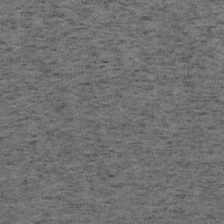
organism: Mouse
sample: OT-I killer T cells with ID8 ovarian cancer cells